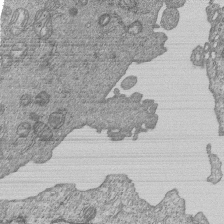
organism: Human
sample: MDA-MB-231 cells